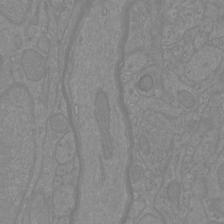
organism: Mouse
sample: Cortical neurons